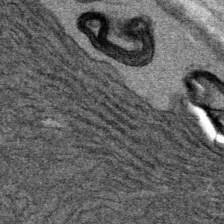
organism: Mouse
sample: Mouse Salivary gland